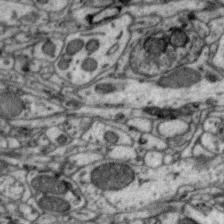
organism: Zebra finch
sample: Brain